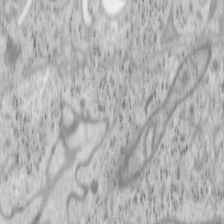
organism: Human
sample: HeLa cells